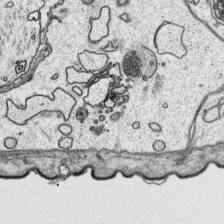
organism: Platynereis dumerilii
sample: Parapodia